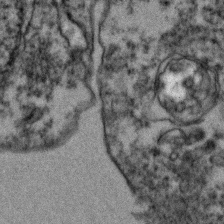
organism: Zebrafish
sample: Zebrafish embryo